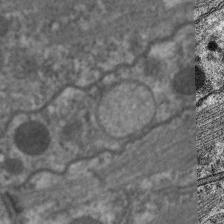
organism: C. elegans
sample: Pharynx